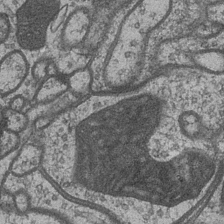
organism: Drosophila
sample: Optic medulla